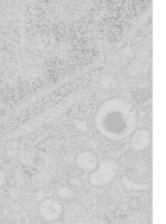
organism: Mouse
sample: Pancreas